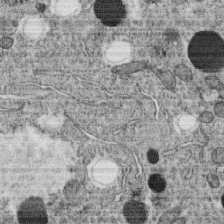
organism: C. elegans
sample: C. elegans oocyte; sperm cells